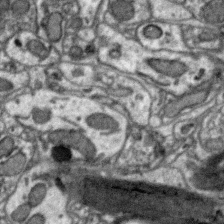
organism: Zebra finch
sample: Brain